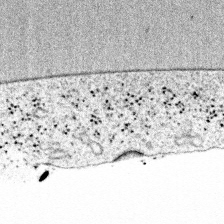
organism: Human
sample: HeLa cells